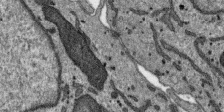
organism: Human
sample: Lung epithelial cells, uninfected (mock) control